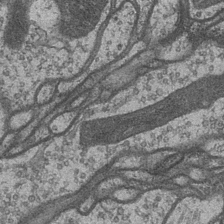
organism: Drosophila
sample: Optic medulla